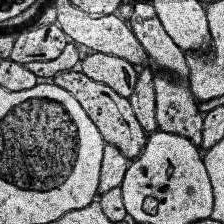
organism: Human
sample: Temporal Lobe